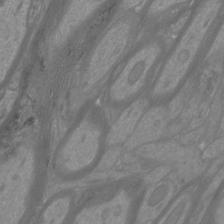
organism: Mouse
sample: Cortical neurons